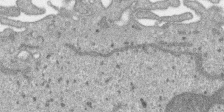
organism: Human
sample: Lung epithelial cells infected with SARS-CoV-2